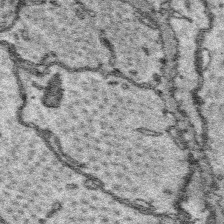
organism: Platynereis dumerilii